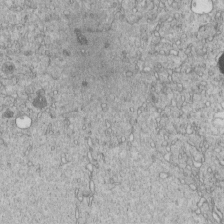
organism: C. elegans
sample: C. elegans embryo early stage